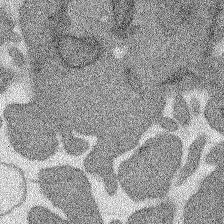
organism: Human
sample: HeLa cells